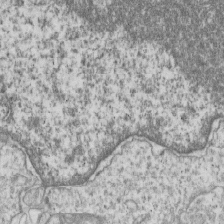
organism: Human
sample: MDA-MB-231 cells